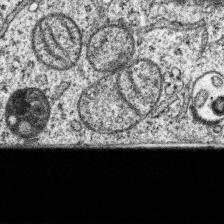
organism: Human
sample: HeLa cells